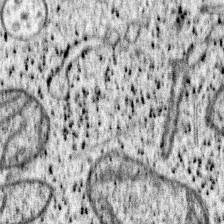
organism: Human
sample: HeLa cells